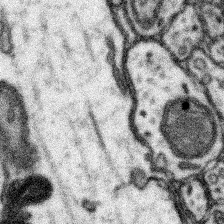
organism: Mouse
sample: Somatosensory cortex neuropil